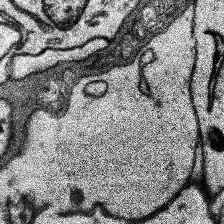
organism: Human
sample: Temporal Lobe